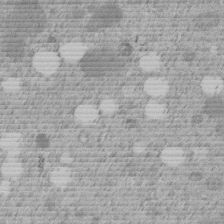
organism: C. elegans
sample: C. elegans embryo early stage